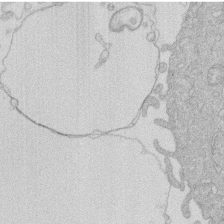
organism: Human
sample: Macrophage cells